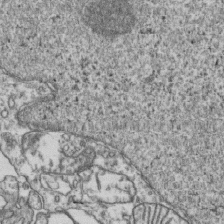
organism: Human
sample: Activated Jurkat CD4+ T cells